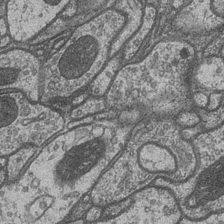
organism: Drosophila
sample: Optic medulla